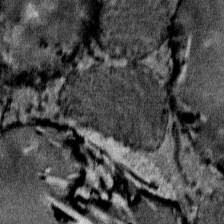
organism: Mouse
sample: Mouse Salivary gland